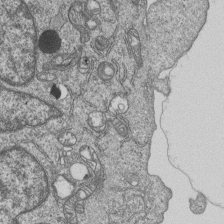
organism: Human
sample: MDA-MB-231 cells